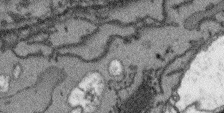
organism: Arabidopsis thaliana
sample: Root tip